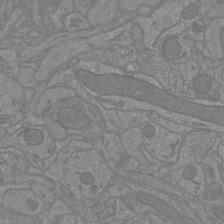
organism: Mouse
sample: Cortical neurons